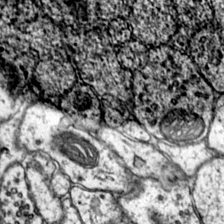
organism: Mouse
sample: Primary visual cortex